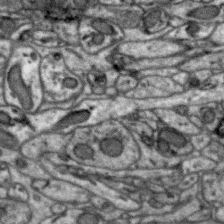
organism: Zebra finch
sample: Brain